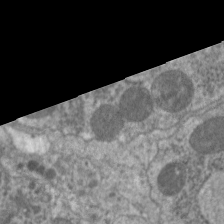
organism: C. elegans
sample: Pharynx